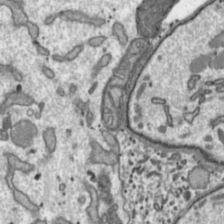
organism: Toxoplasma gondii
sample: Parasites in a vacuole inside a host cell